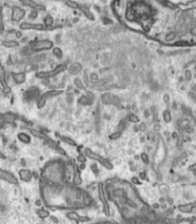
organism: Toxoplasma gondii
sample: Parasites in a vacuole inside a host cell